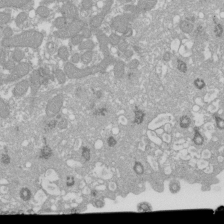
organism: Xenopus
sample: Cilia; centrioles in frog embryo cells